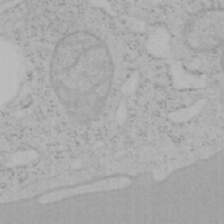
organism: Mouse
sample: OT-I killer T cells with ID8 ovarian cancer cells